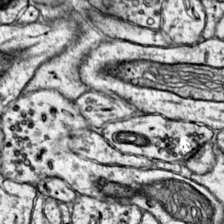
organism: Mouse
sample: Primary visual cortex